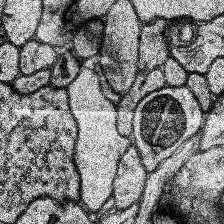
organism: Human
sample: Temporal Lobe